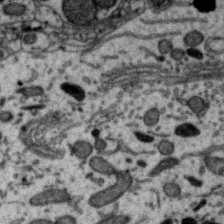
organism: Zebra finch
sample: Brain